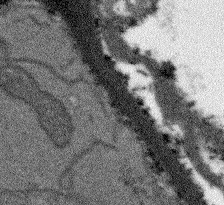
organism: Arabidopsis thaliana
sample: Root tip